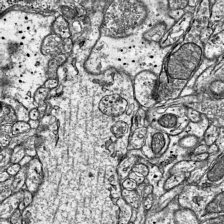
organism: Mouse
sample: Visual Cortex